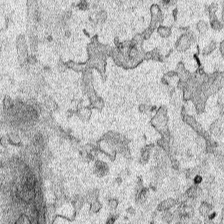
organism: Human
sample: Mitochondria in HCT116 cells